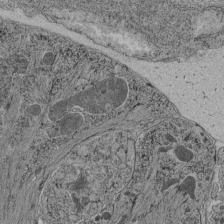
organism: C. elegans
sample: C. elegans pharynx